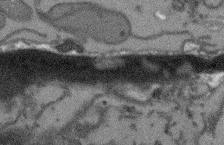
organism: Arabidopsis thaliana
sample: Root tip